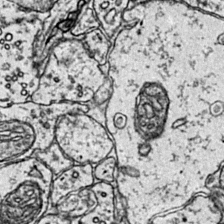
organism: Mouse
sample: Primary visual cortex